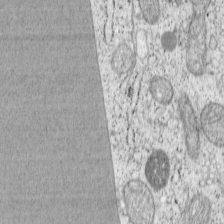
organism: African green monkey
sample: COS-7 cells